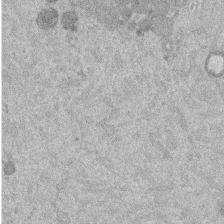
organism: Mouse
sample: Dividing mouse embryo 1 cell stage